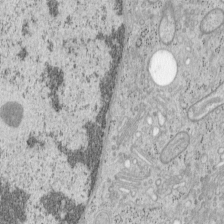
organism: Mouse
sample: OT-I killer T cells with ID8 ovarian cancer cells